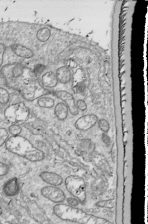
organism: Drosophila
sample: Cell division; meiosis; drosophila spermatocytes